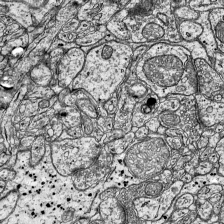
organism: Mouse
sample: Visual Cortex